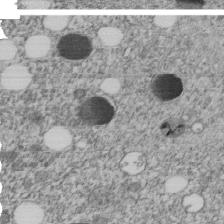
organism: C. elegans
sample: C. elegans embryo early stage